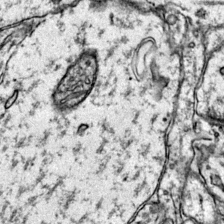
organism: Mouse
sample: Primary visual cortex